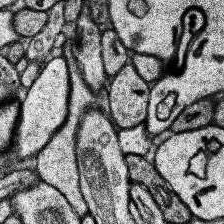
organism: Human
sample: Temporal Lobe